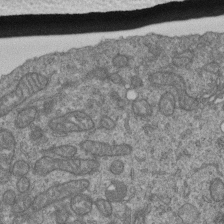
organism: Human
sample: Retinal organoid Rod and Cone cells